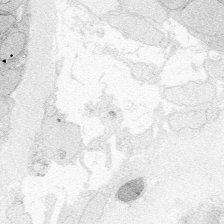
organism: Zebrafish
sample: Whole-Brain